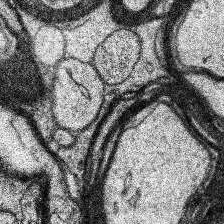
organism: Human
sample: Temporal Lobe